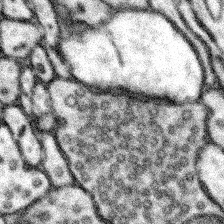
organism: Mouse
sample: Somatosensory cortex neuropil